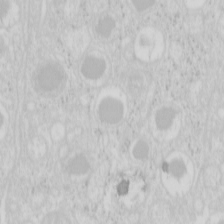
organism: Mouse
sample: Pancreas